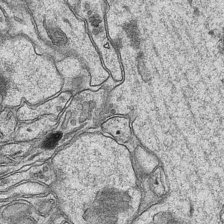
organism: Mouse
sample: CA1 Hippocampus